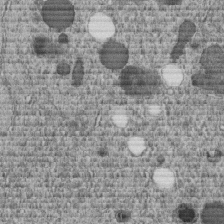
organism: C. elegans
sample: C. elegans embryo early stage